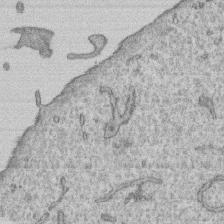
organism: Human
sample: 1205lu cells